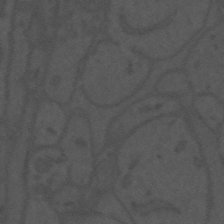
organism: Mouse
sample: Suprachiasmatic nucleus